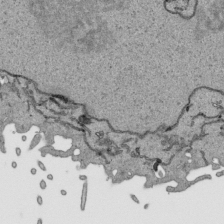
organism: Human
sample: Mitochondria in HCT116 cells